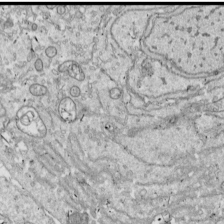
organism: Drosophila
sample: Cell division; meiosis; drosophila spermatocytes